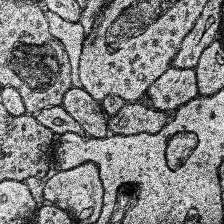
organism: Human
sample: Temporal Lobe